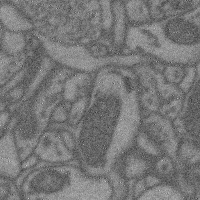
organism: Mouse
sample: Cerebral cortex